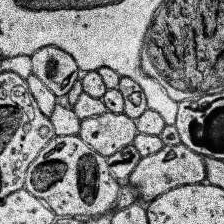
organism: Human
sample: Temporal Lobe